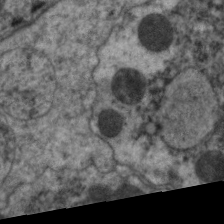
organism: C. elegans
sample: Pharynx